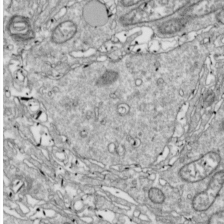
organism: Drosophila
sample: Cell division; meiosis; drosophila spermatocytes